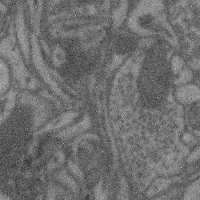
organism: Mouse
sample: Cerebral cortex